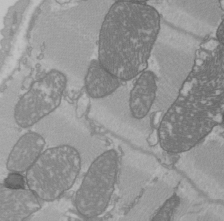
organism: C57BL Mouse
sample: Heart